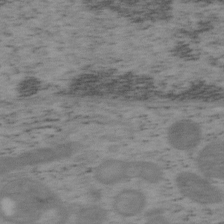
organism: Mouse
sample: OT-I killer T cells with ID8 ovarian cancer cells